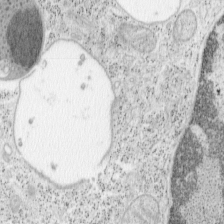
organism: Mouse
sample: OT-I killer T cells with ID8 ovarian cancer cells